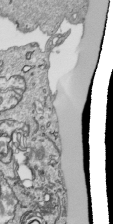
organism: Human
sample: Mitochondria in HCT116 cells